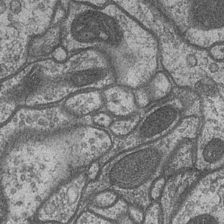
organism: Drosophila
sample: Optic medulla